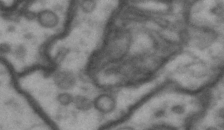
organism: Drosophila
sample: Brain